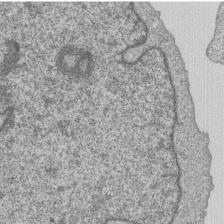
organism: Human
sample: MDA-MB-231 cells